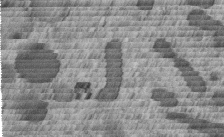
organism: C. elegans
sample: C. elegans embryo early stage